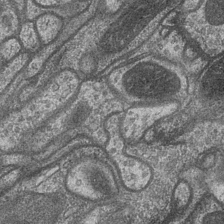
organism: Drosophila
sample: Optic medulla